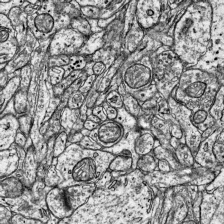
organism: Mouse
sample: Visual Cortex